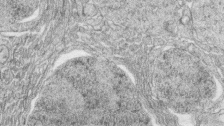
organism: Zebrafish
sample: synaptic ribbons in rod cells and cone cells